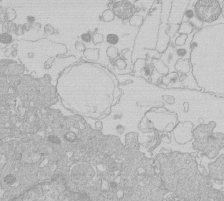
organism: Human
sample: Macrophage cells